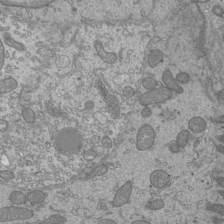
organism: Mouse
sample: Cilia; mouse epididymis